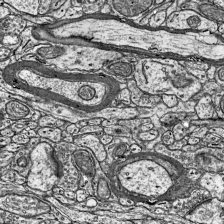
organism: Mouse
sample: Visual Cortex